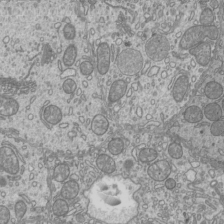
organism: Mouse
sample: Cilia; mouse epididymis